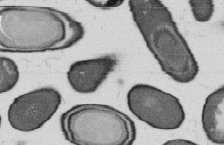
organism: B. subtilis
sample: Bacterial spore